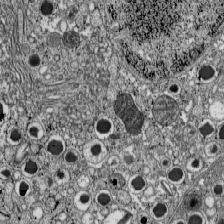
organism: C57BL Mouse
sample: Pancreatic islet